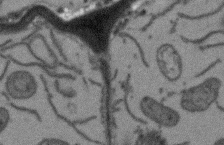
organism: Arabidopsis thaliana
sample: Root tip